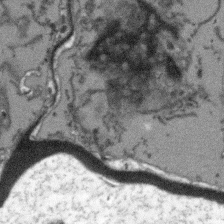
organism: Arabidopsis thaliana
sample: Root tip